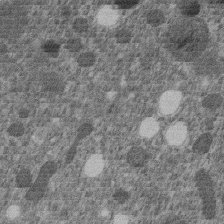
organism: C. elegans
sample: C. elegans embryo early stage